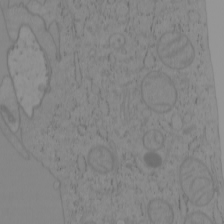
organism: Human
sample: HeLa cells